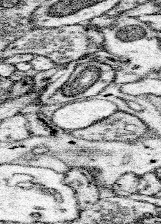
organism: Mouse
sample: Somatosensory cortex neuropil